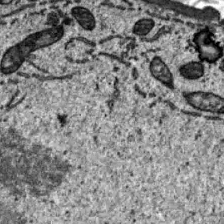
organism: Human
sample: HeLa cells